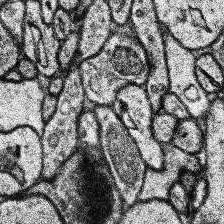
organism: Human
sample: Temporal Lobe